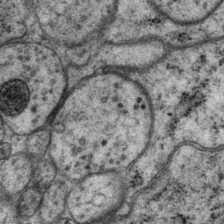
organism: P. pacificus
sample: Pharynx